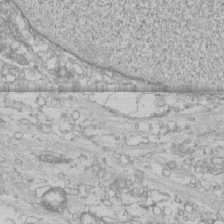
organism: Human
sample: CRL-1474